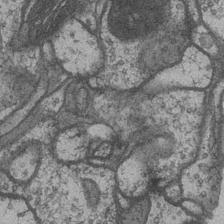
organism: Drosophila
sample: Optic medulla